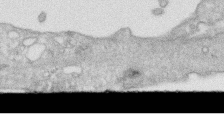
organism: Human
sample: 1205lu cells